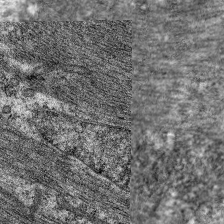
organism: C. elegans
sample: Pharynx